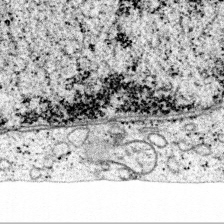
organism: Human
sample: HeLa cells